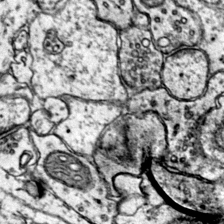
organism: Mouse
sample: Primary visual cortex